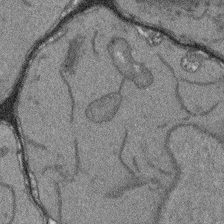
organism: Arabidopsis thaliana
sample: Root tip